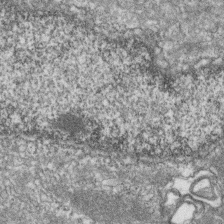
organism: Zebrafish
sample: Cilia; retinal pigment epithelium